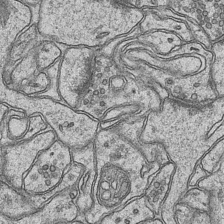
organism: Mouse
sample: CA1 Hippocampus